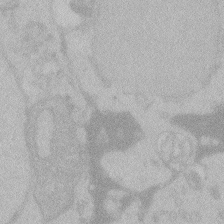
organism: Zebrafish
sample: Macrophage infected with Toxoplasma gondii